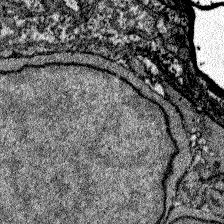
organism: Zebrafish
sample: Larval olfactory bulb